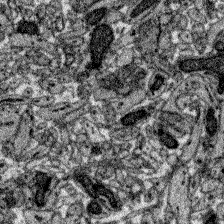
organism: Zebrafish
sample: Larval olfactory bulb